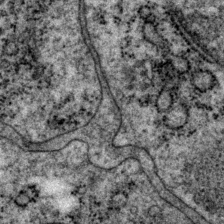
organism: P. pacificus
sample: Pharynx